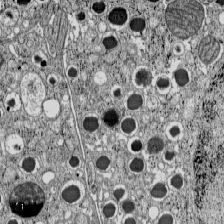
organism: C57BL Mouse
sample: Pancreatic islet